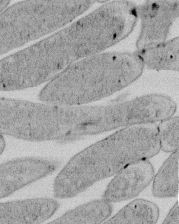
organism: E. coli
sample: Bacterial nucleoid